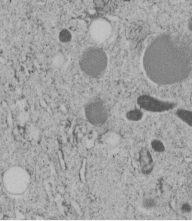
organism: C. elegans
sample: C. elegans embryo early stage